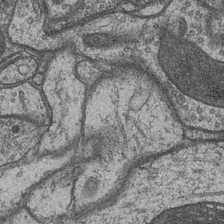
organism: Drosophila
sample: Optic medulla